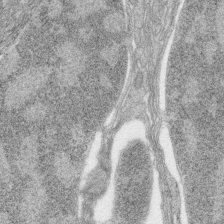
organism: Zebrafish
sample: synaptic ribbons in rod cells and cone cells